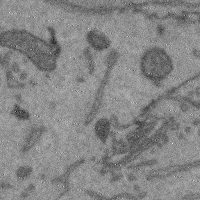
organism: Mouse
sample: Cerebral cortex